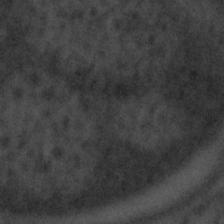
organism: Tuwongella immobilis